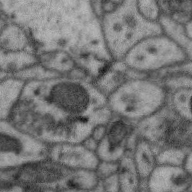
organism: Zebra finch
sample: Brain